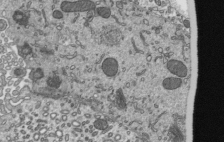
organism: Mouse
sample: Mouse epididymis efferent ductule cilia